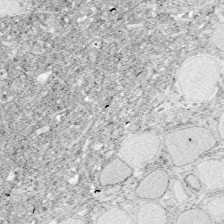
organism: Zebrafish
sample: Whole-Brain